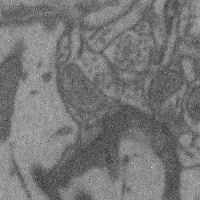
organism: Mouse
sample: Cerebral cortex